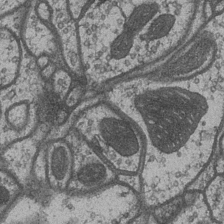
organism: Drosophila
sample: Optic medulla